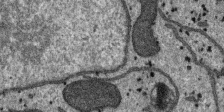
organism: Human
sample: Lung epithelial cells, uninfected (mock) control